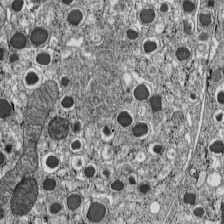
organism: C57BL Mouse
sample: Pancreatic islet